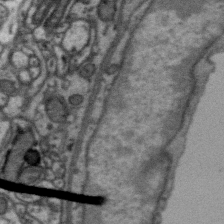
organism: Zebra finch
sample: Brain